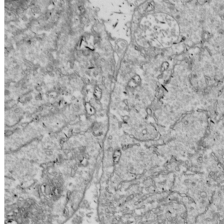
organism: Drosophila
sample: Cell division; meiosis; drosophila spermatocytes